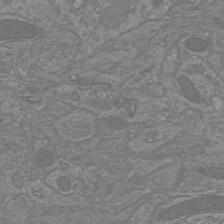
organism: Mouse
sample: Cortical neurons